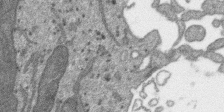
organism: Human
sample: Lung epithelial cells infected with SARS-CoV-2